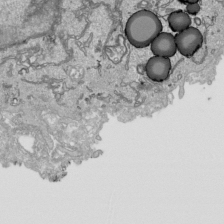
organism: Human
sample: Mitochondria in HCT116 cells